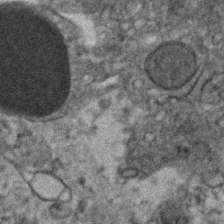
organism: Human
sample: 1205lu cells